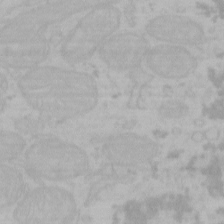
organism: Mouse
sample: Choroid plexus